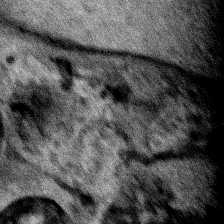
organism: Human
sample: Mitochondria in HCT116 cells